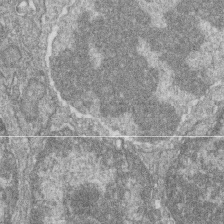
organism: Zebrafish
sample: Cilia; retinal pigment epithelium